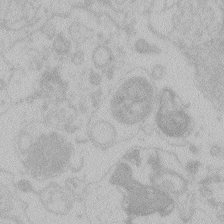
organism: Zebrafish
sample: Macrophage infected with Toxoplasma gondii